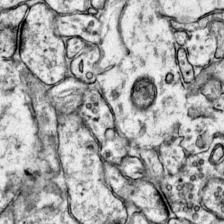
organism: Mouse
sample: Primary visual cortex